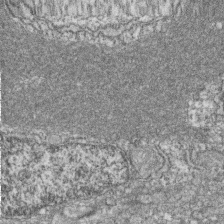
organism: Zebrafish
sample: Cilia; retinal pigment epithelium